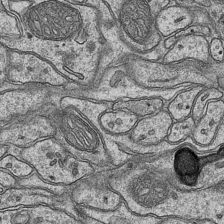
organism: Mouse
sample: CA1 Hippocampus